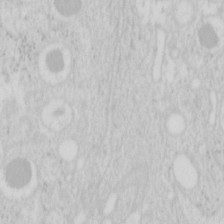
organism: Mouse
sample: Pancreas